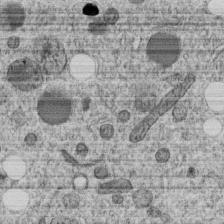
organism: C. elegans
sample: C. elegans embryo early stage